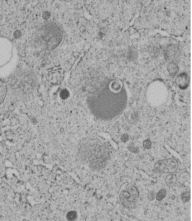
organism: C. elegans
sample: C. elegans embryo early stage